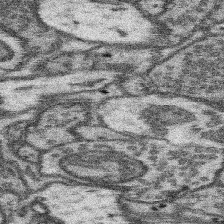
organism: Mouse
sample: Somatosensory cortex neuropil